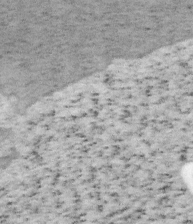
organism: Mouse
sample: OT-I killer T cells with ID8 ovarian cancer cells